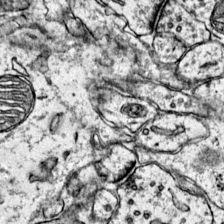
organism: Mouse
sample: Primary visual cortex